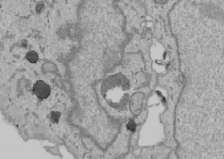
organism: Human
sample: Mitochondria in U2OS cells